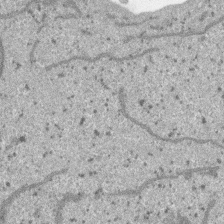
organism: Human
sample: Lung epithelial cells infected with SARS-CoV-2